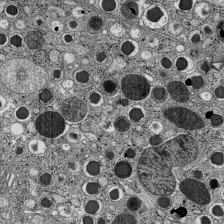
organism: C57BL Mouse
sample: Pancreatic islet